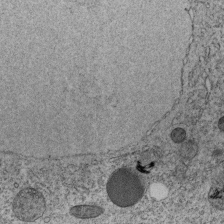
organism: C. elegans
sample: C. elegans embryo early stage